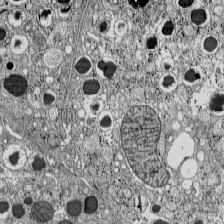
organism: C57BL Mouse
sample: Pancreatic islet